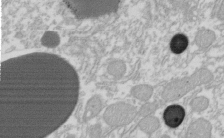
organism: Xenopus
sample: Cilia; centrioles in frog embryo cells